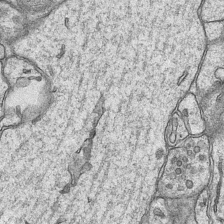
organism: Mouse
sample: CA1 Hippocampus